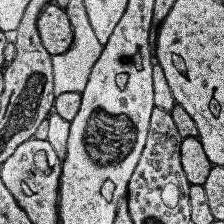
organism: Human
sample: Temporal Lobe